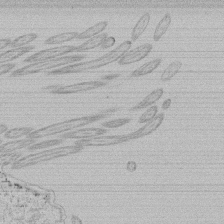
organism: Tetrahymena